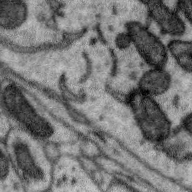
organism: Zebra finch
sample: Brain